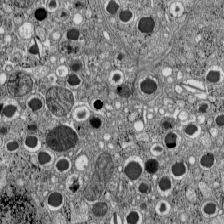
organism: C57BL Mouse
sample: Pancreatic islet